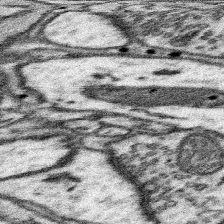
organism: Mouse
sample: Somatosensory cortex neuropil